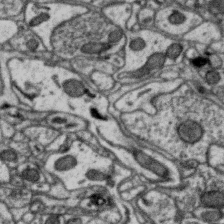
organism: Zebra finch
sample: Brain